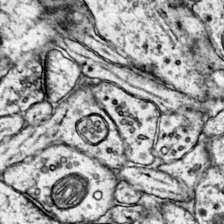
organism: Mouse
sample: Primary visual cortex